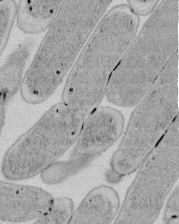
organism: E. coli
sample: Bacterial nucleoid